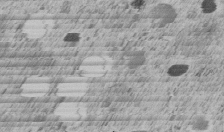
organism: C. elegans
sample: C. elegans embryo early stage